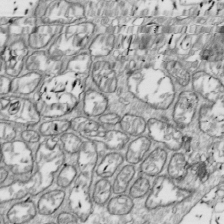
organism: Drosophila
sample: Cell division; meiosis; drosophila spermatocytes